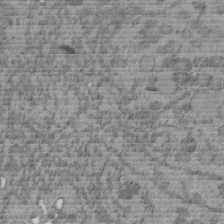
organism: C. elegans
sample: C. elegans embryo early stage